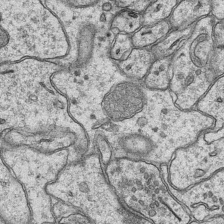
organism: Mouse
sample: CA1 Hippocampus